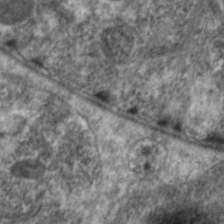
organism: C. elegans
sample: Pharynx